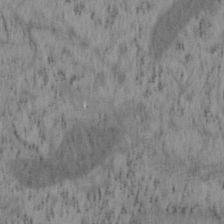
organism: Mouse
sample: OT-I killer T cells with ID8 ovarian cancer cells